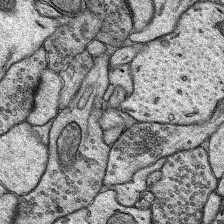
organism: Rat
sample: Hippocampus